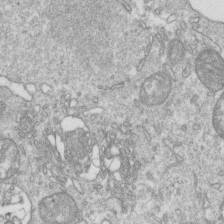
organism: Mouse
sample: Activated OT-1 CD8+ T cells